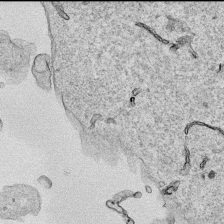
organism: Human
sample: Mitochondria in HCT116 cells